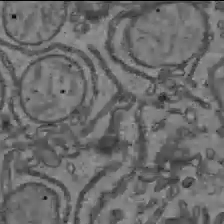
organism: C57BL Mouse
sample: Liver